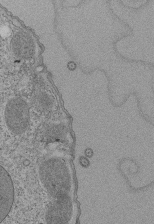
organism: Tetrahymena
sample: Cilia in tetrahymena